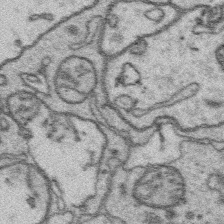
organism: Platynereis dumerilii